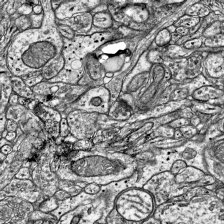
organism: Mouse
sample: Visual Cortex